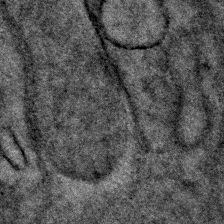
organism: Human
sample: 1205lu cells